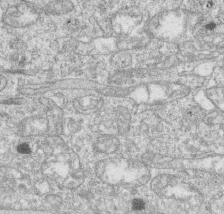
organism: Human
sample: HeLa cell HIV synapse